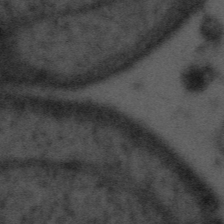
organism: Tuwongella immobilis